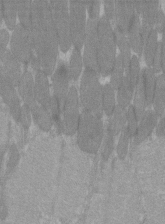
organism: C57BL Mouse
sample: Tibialis anterior muscle cell